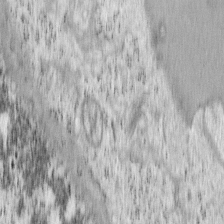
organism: Human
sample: HeLa cells